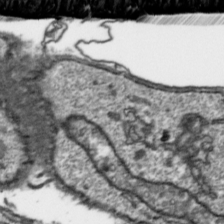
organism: Toxoplasma gondii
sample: Parasites in a vacuole inside a host cell